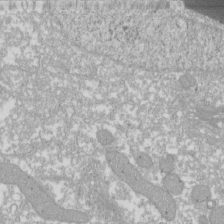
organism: Xenopus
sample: Cilia; centrioles in frog embryo cells